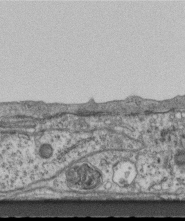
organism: Mouse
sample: Centriole in ependymal cells